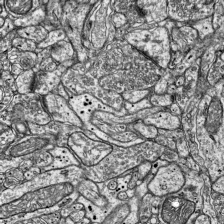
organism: Mouse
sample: Visual Cortex